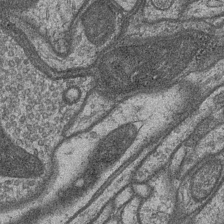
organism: Drosophila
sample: Optic medulla